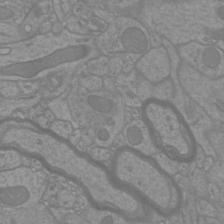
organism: Mouse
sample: Cortical neurons